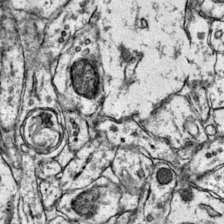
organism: Mouse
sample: Primary visual cortex